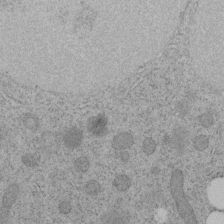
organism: C. elegans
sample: C. elegans embryo early stage